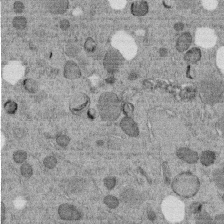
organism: C. elegans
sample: C. elegans embryo early stage